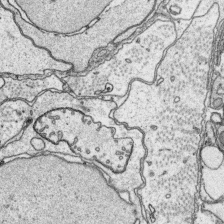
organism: Platynereis dumerilii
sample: Parapodia